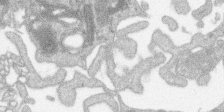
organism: Human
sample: Lung epithelial cells infected with SARS-CoV-2